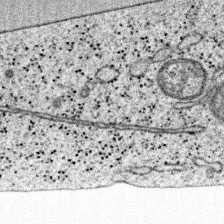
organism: Human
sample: HeLa cells